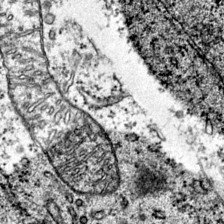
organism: Mouse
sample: Primary visual cortex